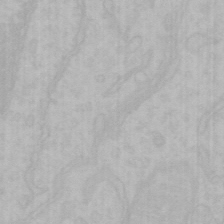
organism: Mouse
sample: Choroid plexus